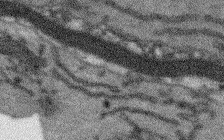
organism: Arabidopsis thaliana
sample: Root tip